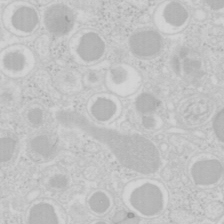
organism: Mouse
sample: Pancreas